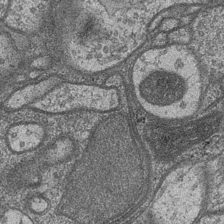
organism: Drosophila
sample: Optic medulla